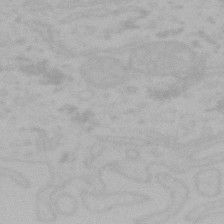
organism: Mouse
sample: Choroid plexus